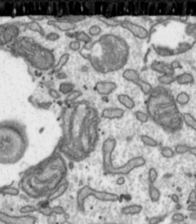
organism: Toxoplasma gondii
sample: Parasites in a vacuole inside a host cell